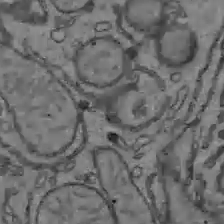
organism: C57BL Mouse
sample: Liver